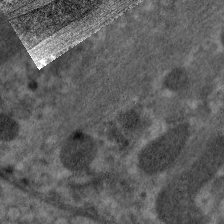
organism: C. elegans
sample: Pharynx